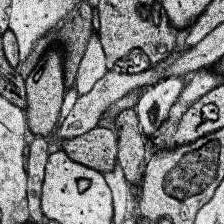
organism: Human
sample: Temporal Lobe